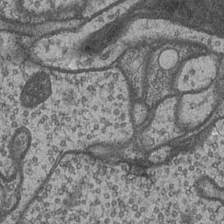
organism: Drosophila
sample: Optic medulla